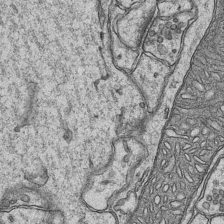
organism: Mouse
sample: CA1 Hippocampus